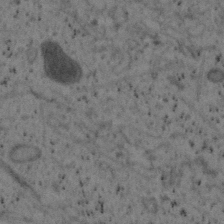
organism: Human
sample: HeLa cells